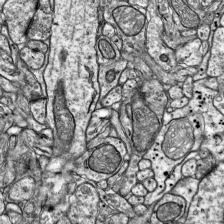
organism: Mouse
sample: Visual Cortex